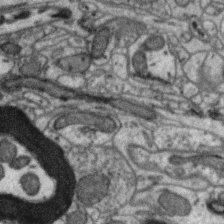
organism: Zebra finch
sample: Brain